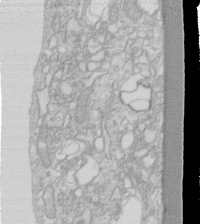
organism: Human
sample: Fibroblast cells